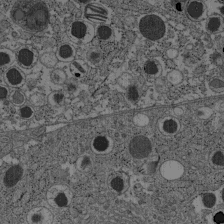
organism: C57BL Mouse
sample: Pancreatic islet